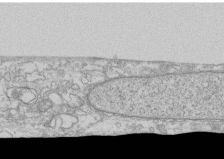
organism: Human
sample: CRL-1474